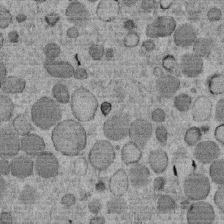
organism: C. elegans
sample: C. elegans embryo early stage